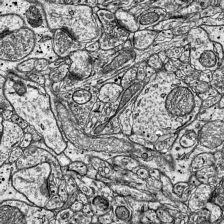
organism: Mouse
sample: Visual Cortex